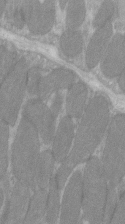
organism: C57BL Mouse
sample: Tibialis anterior muscle cell